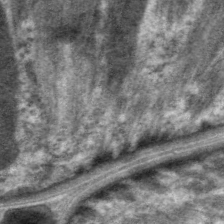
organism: C. elegans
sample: Pharynx